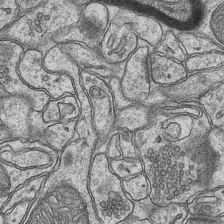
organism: Mouse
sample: CA1 Hippocampus